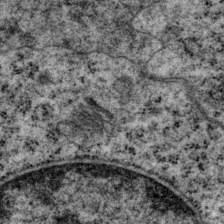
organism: P. pacificus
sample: Pharynx